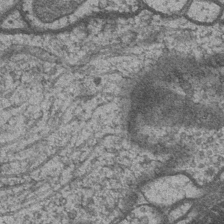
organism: Drosophila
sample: Optic medulla